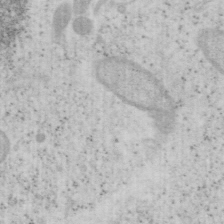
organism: Human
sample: HeLa cells